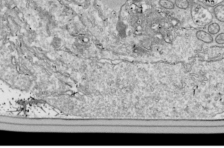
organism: Drosophila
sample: Cell division; meiosis; drosophila spermatocytes